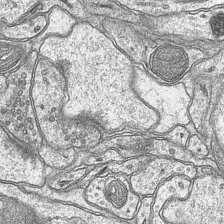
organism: Mouse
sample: CA1 Hippocampus